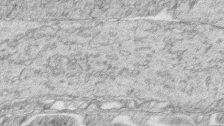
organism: Zebrafish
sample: synaptic ribbons in rod cells and cone cells